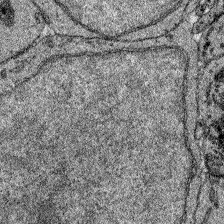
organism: Zebrafish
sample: Larval olfactory bulb